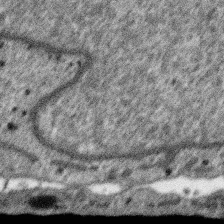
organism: Human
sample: Lung epithelial cells infected with SARS-CoV-2